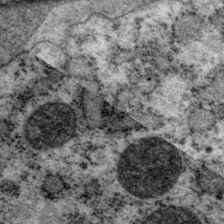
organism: P. pacificus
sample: Pharynx